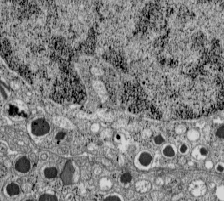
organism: C57BL Mouse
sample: Pancreatic islet